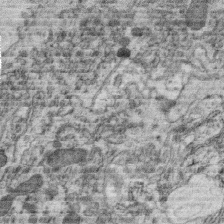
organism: C. elegans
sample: C. elegans oocyte; sperm cells